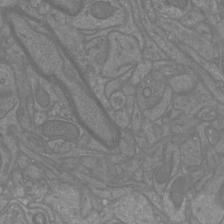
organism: Mouse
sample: Cortical neurons